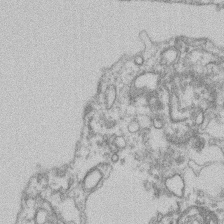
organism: Mouse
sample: T cell stromal cell synapse